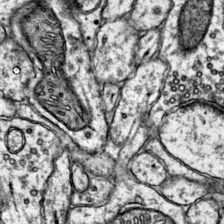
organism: Mouse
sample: Primary visual cortex